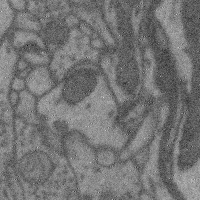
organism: Mouse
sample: Cerebral cortex